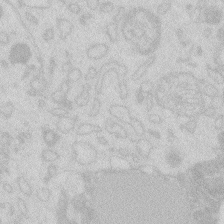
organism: Zebrafish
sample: Macrophage